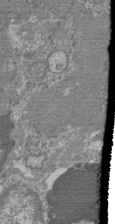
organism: Mouse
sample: Glomerulus